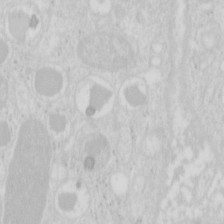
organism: Mouse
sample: Pancreas